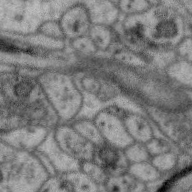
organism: Zebra finch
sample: Brain